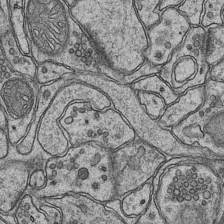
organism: Mouse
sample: CA1 Hippocampus